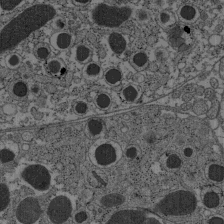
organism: C57BL Mouse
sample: Pancreatic islet